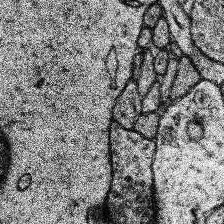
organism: Human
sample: Temporal Lobe